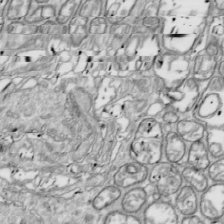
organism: Drosophila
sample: Cell division; meiosis; drosophila spermatocytes